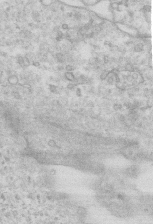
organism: Mouse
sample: Centriole in ependymal cells